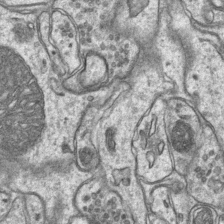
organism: Mouse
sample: CA1 Hippocampus